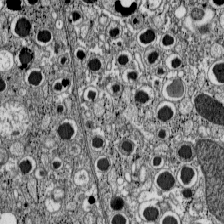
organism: C57BL Mouse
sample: Pancreatic islet